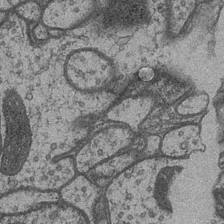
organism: Drosophila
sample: Optic medulla